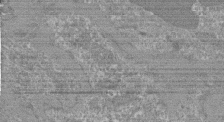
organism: Mouse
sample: Glomerulus